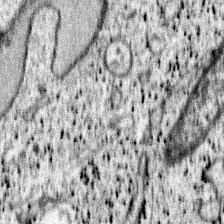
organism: Human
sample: HeLa cells